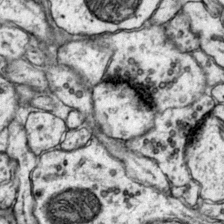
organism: Mouse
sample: Primary visual cortex